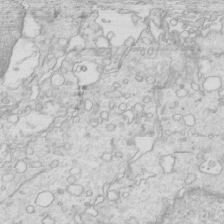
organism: Mouse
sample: Multiciliated cells